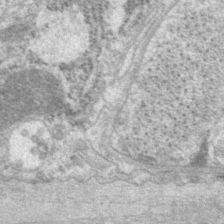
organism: P. pacificus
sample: Pharynx